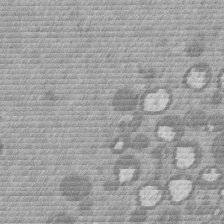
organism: Mouse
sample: Dividing mouse embryo 1 cell stage